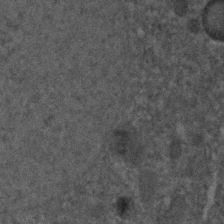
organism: C. elegans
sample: C. elegans embryo